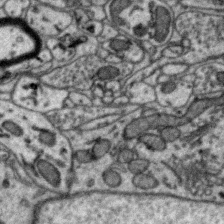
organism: Zebra finch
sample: Brain